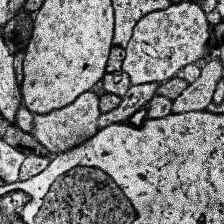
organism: Human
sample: Temporal Lobe